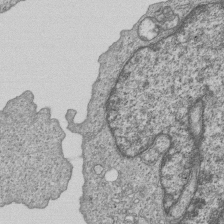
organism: Human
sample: MDA-MB-231 cells